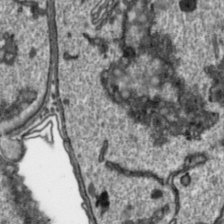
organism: Toxoplasma gondii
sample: Parasites in a vacuole inside a host cell